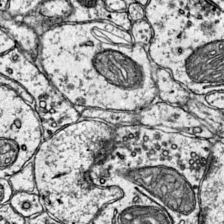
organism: Mouse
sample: Primary visual cortex